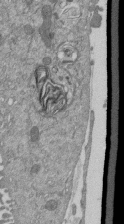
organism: Mouse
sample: ED-1 cell nuclei; centrioles